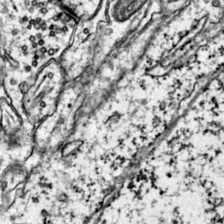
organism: Mouse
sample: Primary visual cortex